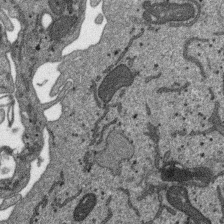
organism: Human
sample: Lung epithelial cells infected with SARS-CoV-2